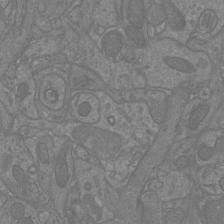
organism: Mouse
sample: Cortical neurons